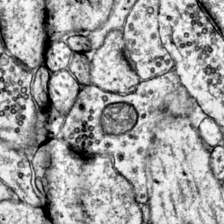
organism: Mouse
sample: Primary visual cortex